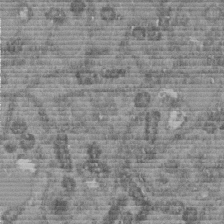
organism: C. elegans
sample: C. elegans embryo early stage